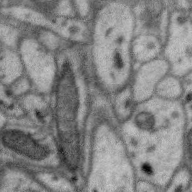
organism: Zebra finch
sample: Brain